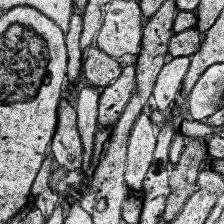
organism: Human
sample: Temporal Lobe